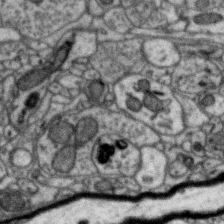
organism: Zebra finch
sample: Brain